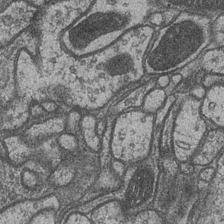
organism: Drosophila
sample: Optic medulla